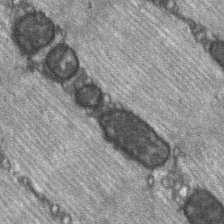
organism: C57BL Mouse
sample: Soleus